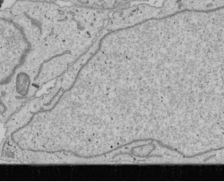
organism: Human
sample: Mitochondria in U2OS cells